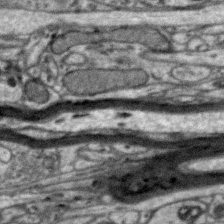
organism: Zebra finch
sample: Brain